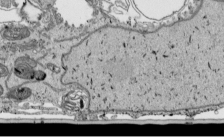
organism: Human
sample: Mitochondria in HCT116 cells